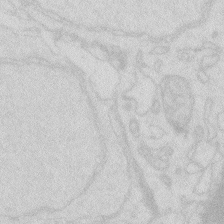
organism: Zebrafish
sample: Macrophage